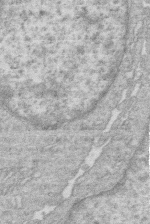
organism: Human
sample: Macrophage cells